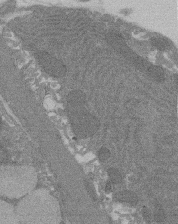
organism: Rat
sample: Salivary granule